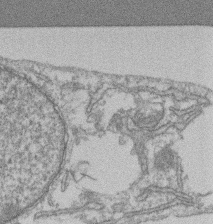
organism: Mouse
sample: T cell stromal cell synapse